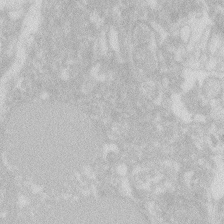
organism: Zebrafish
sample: Macrophage